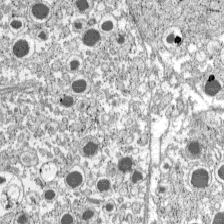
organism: C57BL Mouse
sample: Pancreatic islet